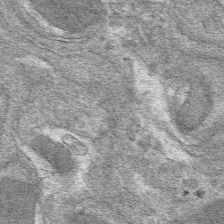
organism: Mouse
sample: Mouse hepatocytes